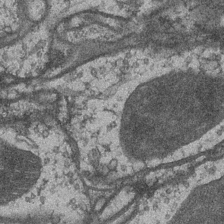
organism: Drosophila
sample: Optic medulla